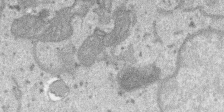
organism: Human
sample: Lung epithelial cells infected with SARS-CoV-2